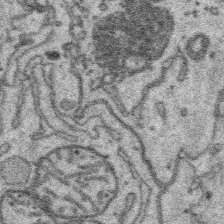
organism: Platynereis dumerilii